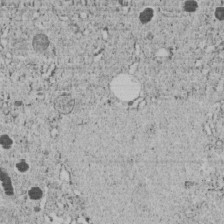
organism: C. elegans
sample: C. elegans embryo early stage